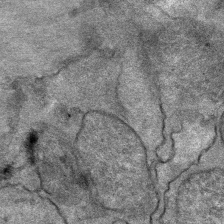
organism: Mouse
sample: Mouse Salivary gland